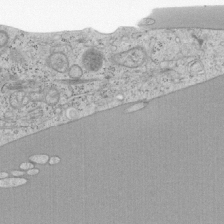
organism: Human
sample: HeLa cells